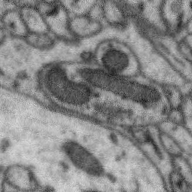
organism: Zebra finch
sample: Brain